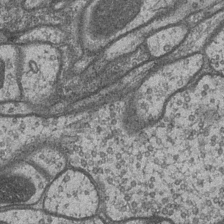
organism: Drosophila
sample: Optic medulla